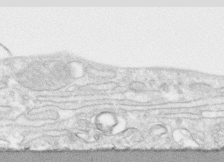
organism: Human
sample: CRL-1474